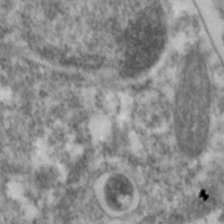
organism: Zebrafish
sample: Zebrafish embryo